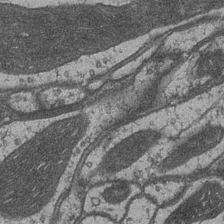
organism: Drosophila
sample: Optic medulla